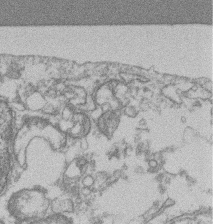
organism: Mouse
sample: T cell stromal cell synapse